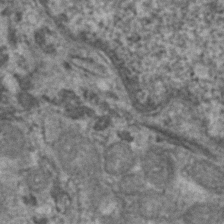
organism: Human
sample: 1205lu cells